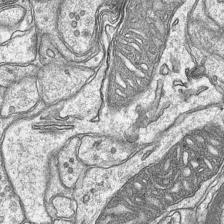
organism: Mouse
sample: CA1 Hippocampus